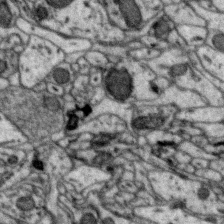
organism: Zebra finch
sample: Brain